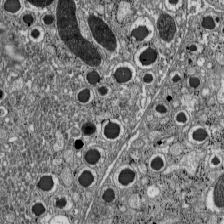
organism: C57BL Mouse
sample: Pancreatic islet